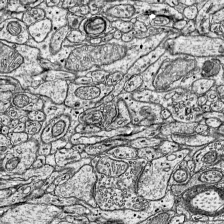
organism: Mouse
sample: Visual Cortex